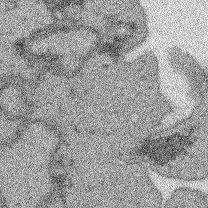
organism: Human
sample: HeLa cells